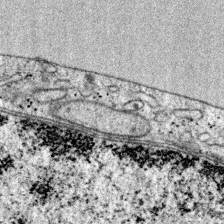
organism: Human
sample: HeLa cells